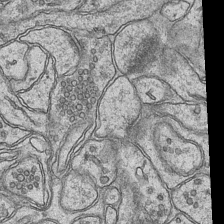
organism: Mouse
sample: CA1 Hippocampus